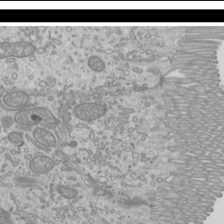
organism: Mouse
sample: Cilia; mouse epididymis